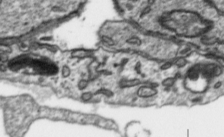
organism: Toxoplasma gondii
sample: Parasites in a vacuole inside a host cell